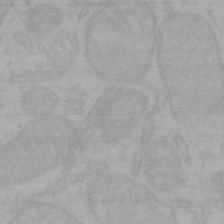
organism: Mouse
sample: Choroid plexus